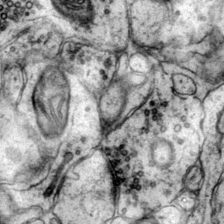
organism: Mouse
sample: Primary visual cortex